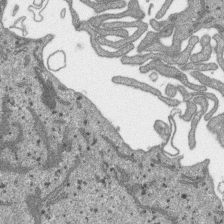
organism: Human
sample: Lung epithelial cells infected with SARS-CoV-2